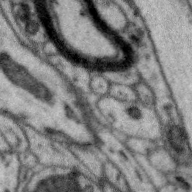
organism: Zebra finch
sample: Brain